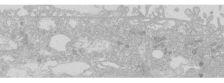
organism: Human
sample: Caco-2 cells